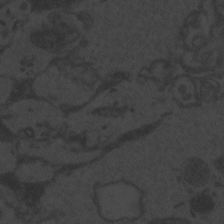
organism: Zebrafish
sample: Macrophage infected with Toxoplasma gondii